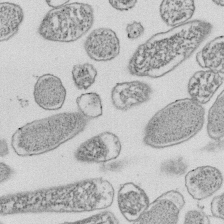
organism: E. coli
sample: Bacterial nucleoid